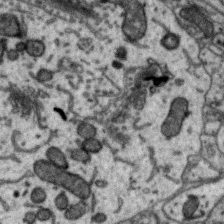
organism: Zebra finch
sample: Brain